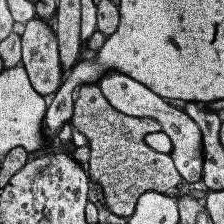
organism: Human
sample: Temporal Lobe